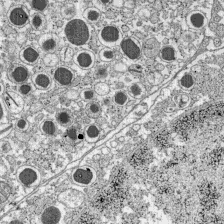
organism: C57BL Mouse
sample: Pancreatic islet